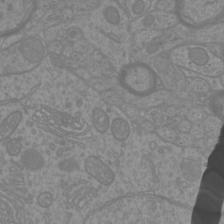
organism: Mouse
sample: Cortical neurons